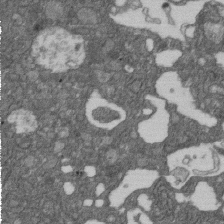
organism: Drosophila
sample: Nephrocyte